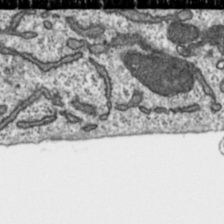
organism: Toxoplasma gondii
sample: Parasites in a vacuole inside a host cell